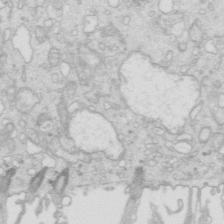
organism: Mouse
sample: Multiciliated cells